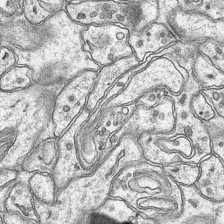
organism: Mouse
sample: CA1 Hippocampus